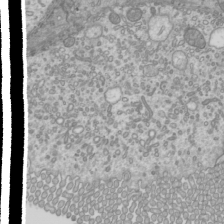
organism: Mouse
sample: Cilia; mouse epididymis